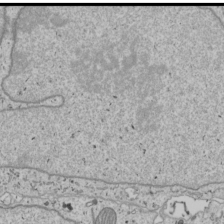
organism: Human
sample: Mitochondria in U2OS cells